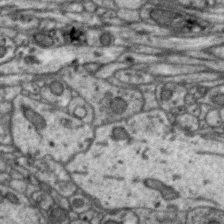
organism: Zebra finch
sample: Brain